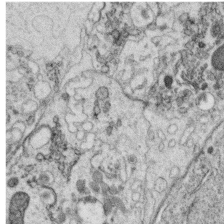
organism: C. elegans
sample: C. elegans oocyte; sperm cells